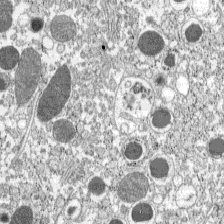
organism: C57BL Mouse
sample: Pancreatic islet